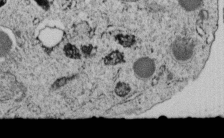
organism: C. elegans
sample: C. elegans embryo early stage